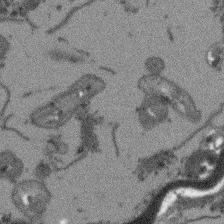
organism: Arabidopsis thaliana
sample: Root tip